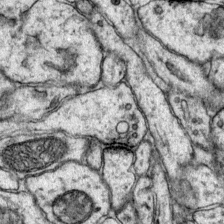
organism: Mouse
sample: Primary visual cortex